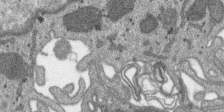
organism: Human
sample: Lung epithelial cells infected with SARS-CoV-2